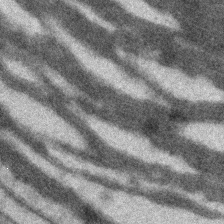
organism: Zebrafish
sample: Zebrafish embryo